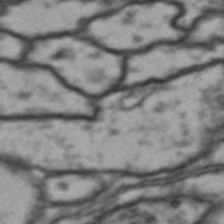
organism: Drosophila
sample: Brain